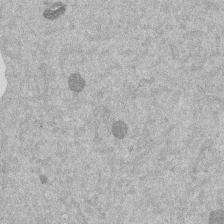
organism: Mouse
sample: Dividing mouse embryo 1 cell stage